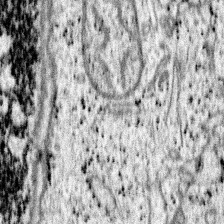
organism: Human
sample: HeLa cells